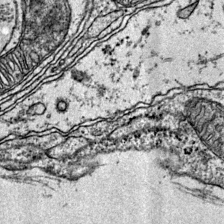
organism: Mouse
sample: Primary visual cortex